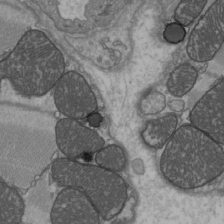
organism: C57BL Mouse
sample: Heart